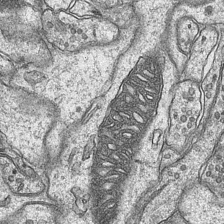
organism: Mouse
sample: CA1 Hippocampus